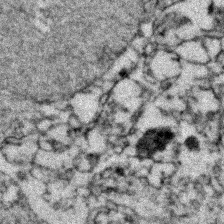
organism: Zebrafish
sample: Zebrafish embryo